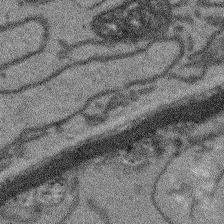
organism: Arabidopsis thaliana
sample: Root tip